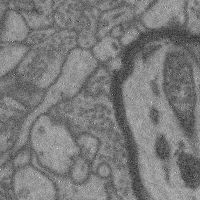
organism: Mouse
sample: Cerebral cortex